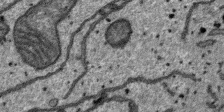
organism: Human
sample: Lung epithelial cells, uninfected (mock) control